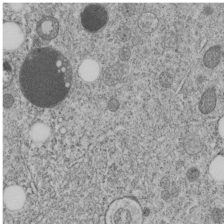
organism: C. elegans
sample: C. elegans embryo early stage